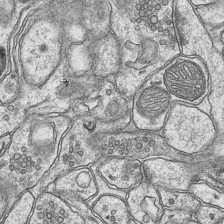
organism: Mouse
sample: CA1 Hippocampus